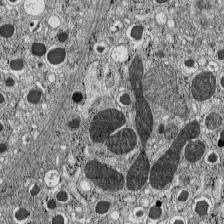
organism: C57BL Mouse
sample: Pancreatic islet